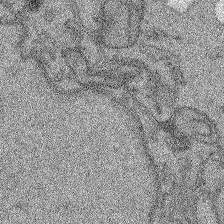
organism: Human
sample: HeLa cells